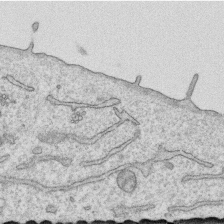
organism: Human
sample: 1205lu cells